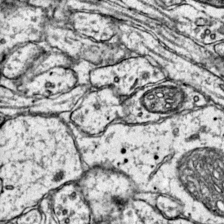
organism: Mouse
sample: Primary visual cortex